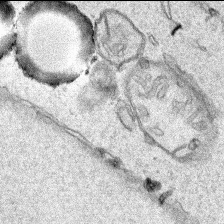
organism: Human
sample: Mitochondria in HCT116 cells